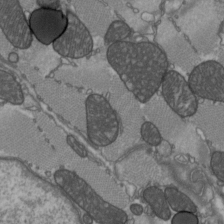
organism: C57BL Mouse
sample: Heart